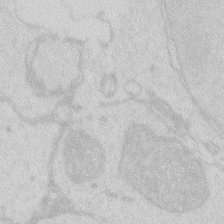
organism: Zebrafish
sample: Macrophage